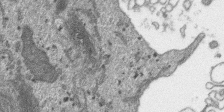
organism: Human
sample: Lung epithelial cells infected with SARS-CoV-2